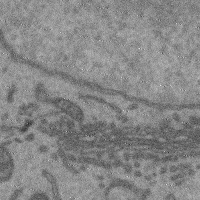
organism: Mouse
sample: Cerebral cortex